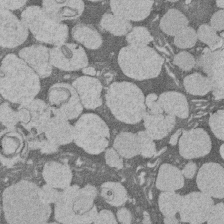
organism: Rat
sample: Salivary granule